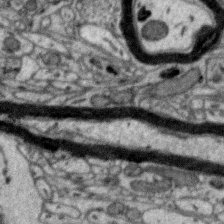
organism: Zebra finch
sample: Brain